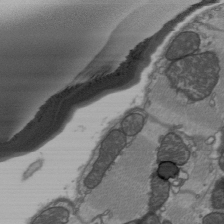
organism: C57BL Mouse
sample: Heart